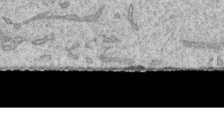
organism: Human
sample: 1205lu cells